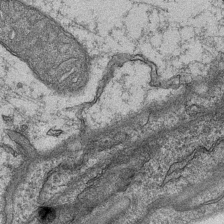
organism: Mouse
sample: CA1 Hippocampus